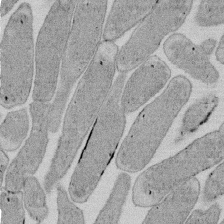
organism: E. coli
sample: Bacterial nucleoid